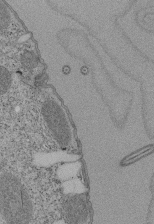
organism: Tetrahymena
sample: Cilia in tetrahymena